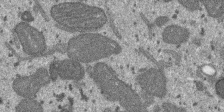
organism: Human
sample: Lung epithelial cells infected with SARS-CoV-2